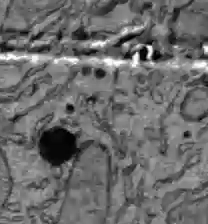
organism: C57BL Mouse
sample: Liver